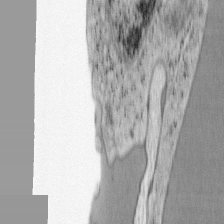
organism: Human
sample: HeLa cells